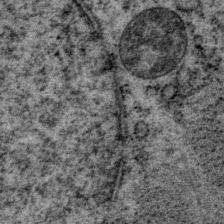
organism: P. pacificus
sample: Pharynx